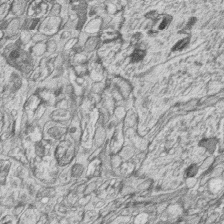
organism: Zebrafish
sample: synaptic ribbons in rod cells and cone cells